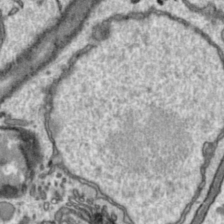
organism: Toxoplasma gondii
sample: Parasites in a vacuole inside a host cell